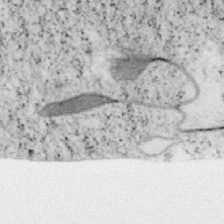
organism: Mouse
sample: OT-I killer T cells with ID8 ovarian cancer cells